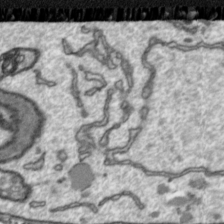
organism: Toxoplasma gondii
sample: Parasites in a vacuole inside a host cell